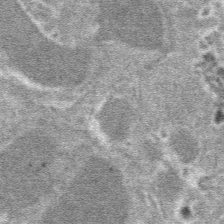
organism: Mouse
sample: Mouse hepatocytes